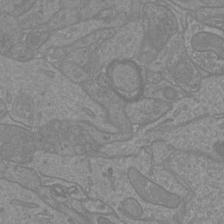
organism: Mouse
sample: Cortical neurons